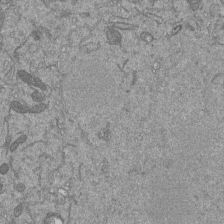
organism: Mouse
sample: ED-1 cell nuclei; centrioles